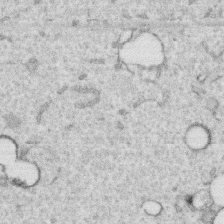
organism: Human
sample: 1205lu cells